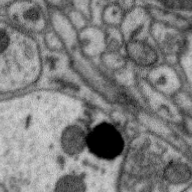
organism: Zebra finch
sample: Brain